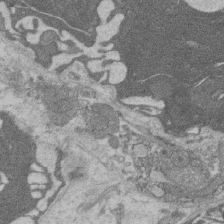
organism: Rat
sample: Salivary granule